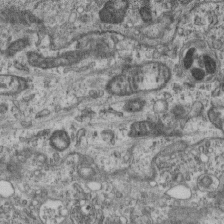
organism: Mouse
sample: Centriole in ependymal cells